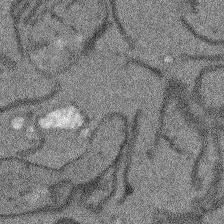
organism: Arabidopsis thaliana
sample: Root tip